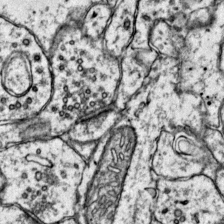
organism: Mouse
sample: Primary visual cortex